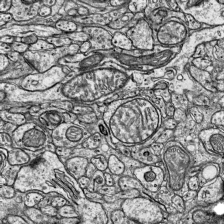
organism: Mouse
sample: Visual Cortex